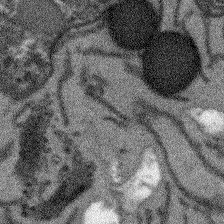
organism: Arabidopsis thaliana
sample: Root tip